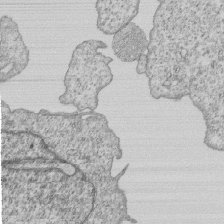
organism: Human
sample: MDA-MB-231 cells